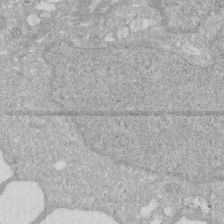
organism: Human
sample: HIV infected U937 cells